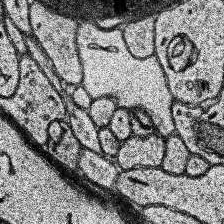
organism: Human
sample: Temporal Lobe